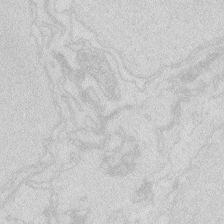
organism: Zebrafish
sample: Macrophage